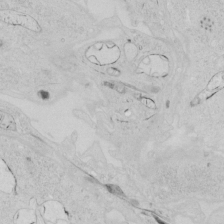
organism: Human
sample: Mitochondria in HCT116 cells